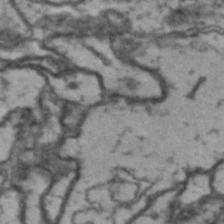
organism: Drosophila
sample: Brain